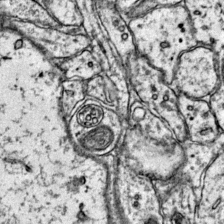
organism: Mouse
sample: Primary visual cortex